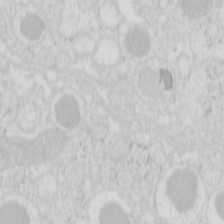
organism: Mouse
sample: Pancreas